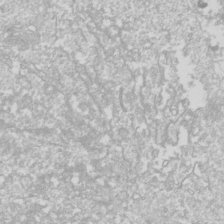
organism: Drosophila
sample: Cell division; meiosis; drosophila spermatocytes